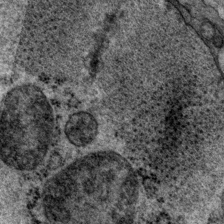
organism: P. pacificus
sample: Pharynx